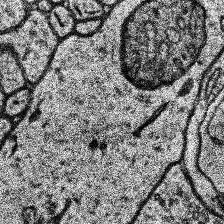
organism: Human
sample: Temporal Lobe